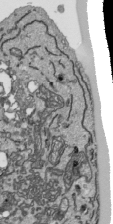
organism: Human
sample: Mitochondria in HCT116 cells